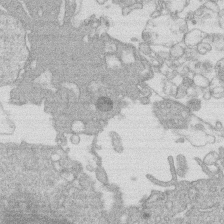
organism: Human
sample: Macrophage cells